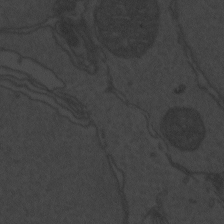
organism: Zebrafish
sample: Macrophage infected with Toxoplasma gondii